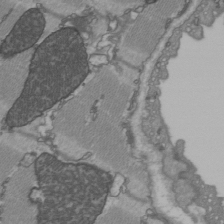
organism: C57BL Mouse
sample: Heart